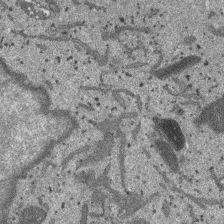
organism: Human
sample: Lung epithelial cells infected with SARS-CoV-2